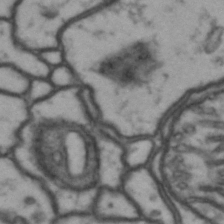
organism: Drosophila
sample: Brain